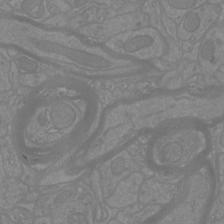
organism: Mouse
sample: Cortical neurons